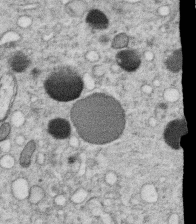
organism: C. elegans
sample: C. elegans oocyte; sperm cells